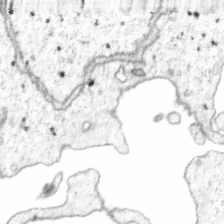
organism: Human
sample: HeLa cells